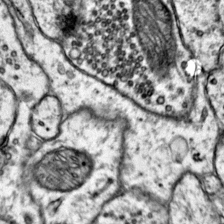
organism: Mouse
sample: Primary visual cortex